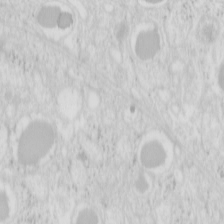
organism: Mouse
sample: Pancreas